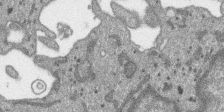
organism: Human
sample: Lung epithelial cells infected with SARS-CoV-2